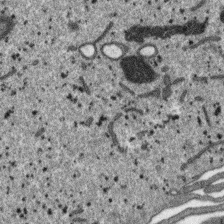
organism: Human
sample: Lung epithelial cells infected with SARS-CoV-2